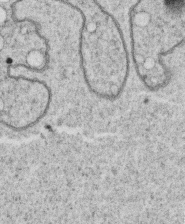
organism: C. elegans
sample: C. elegans oocyte; sperm cells